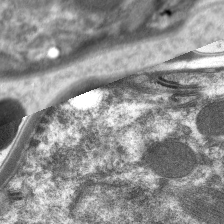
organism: C. elegans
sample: Pharynx